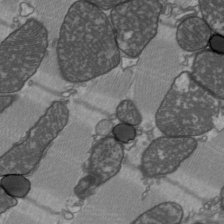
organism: C57BL Mouse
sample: Heart